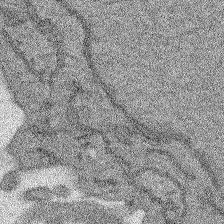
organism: Human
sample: HeLa cells